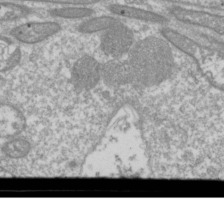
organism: Drosophila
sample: Cell division; meiosis; drosophila spermatocytes